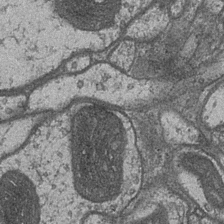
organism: Drosophila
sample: Optic medulla